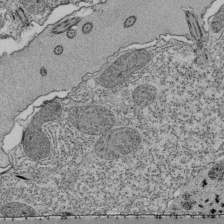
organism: Tetrahymena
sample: Cilia in tetrahymena